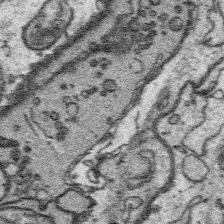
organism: Platynereis dumerilii